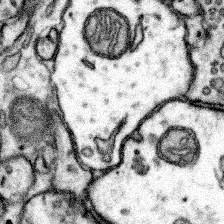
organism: Mouse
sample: Somatosensory cortex neuropil